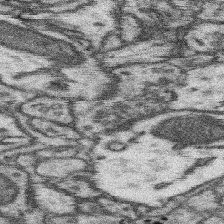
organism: Mouse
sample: Somatosensory cortex neuropil